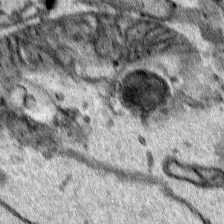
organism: Human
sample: Mitochondria in HCT116 cells